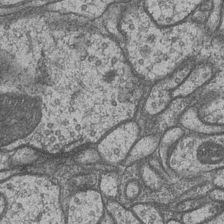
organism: Drosophila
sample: Optic medulla